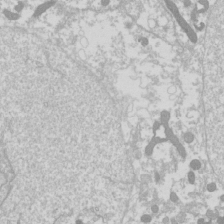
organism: Drosophila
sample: Cell division; meiosis; drosophila spermatocytes